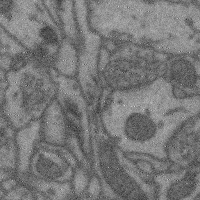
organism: Mouse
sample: Cerebral cortex